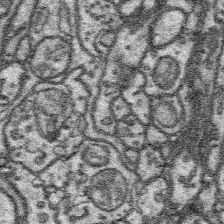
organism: Platynereis dumerilii